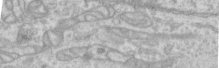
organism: Human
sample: Centriole in RPE cells